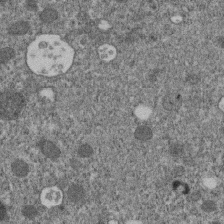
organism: C. elegans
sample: C. elegans embryo early stage